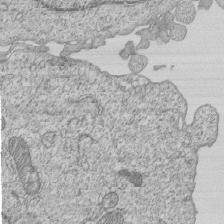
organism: Human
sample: MDA-MB-231 cells